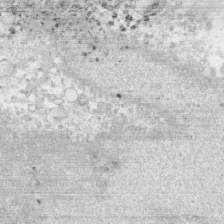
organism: Human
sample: CRL-1474